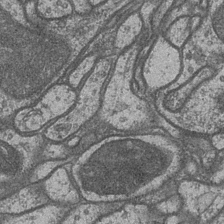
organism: Drosophila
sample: Optic medulla